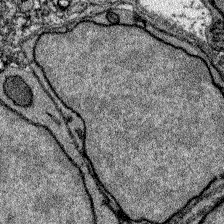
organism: Zebrafish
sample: Larval olfactory bulb